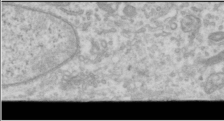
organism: Human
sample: Cilia; basal body in RPE cells